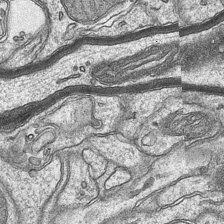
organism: Mouse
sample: CA1 Hippocampus